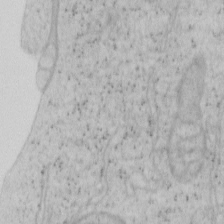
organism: Human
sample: HeLa cells